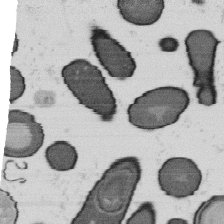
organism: B. subtilis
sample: Bacterial spore